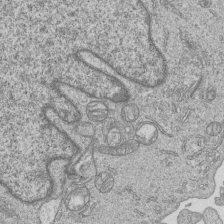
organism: Human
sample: MDA-MB-231 cells